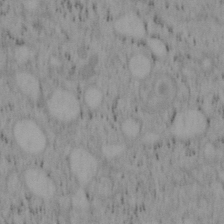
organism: Mouse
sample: OT-I killer T cells with ID8 ovarian cancer cells